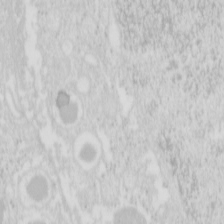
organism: Mouse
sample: Pancreas